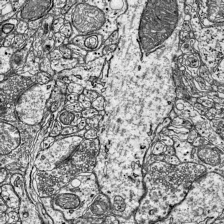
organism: Mouse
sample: Visual Cortex